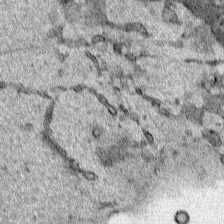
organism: Human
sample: Mitochondria in HCT116 cells